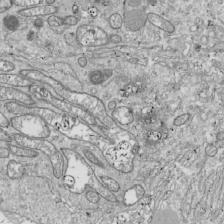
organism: Drosophila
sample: Cell division; meiosis; drosophila spermatocytes